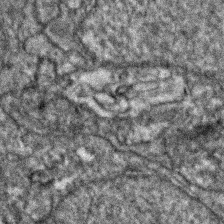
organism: Zebrafish